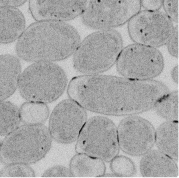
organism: E. coli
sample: Bacterial nucleoid